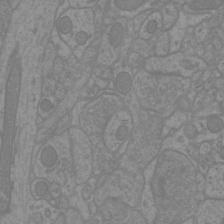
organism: Mouse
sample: Cortical neurons